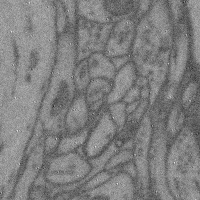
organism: Mouse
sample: Cerebral cortex